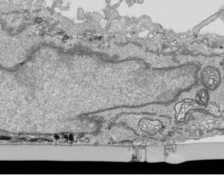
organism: Human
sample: Mitochondria in HCT116 cells